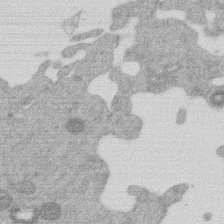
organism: Mouse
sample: Dividing mouse embryo 1 cell stage